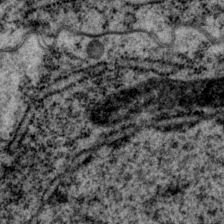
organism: P. pacificus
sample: Pharynx